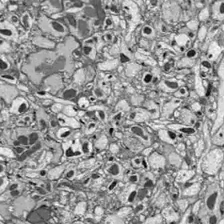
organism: Drosophila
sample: Optic lobe